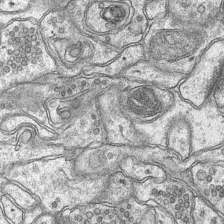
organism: Mouse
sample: CA1 Hippocampus